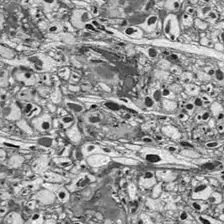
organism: Drosophila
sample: Optic lobe